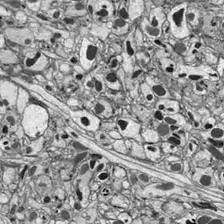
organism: Drosophila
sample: Optic lobe